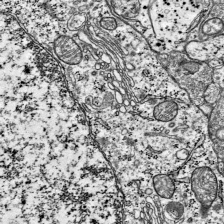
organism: Mouse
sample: Visual Cortex